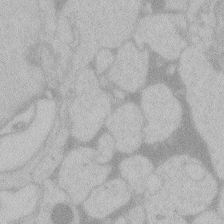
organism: Zebrafish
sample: Macrophage infected with Toxoplasma gondii